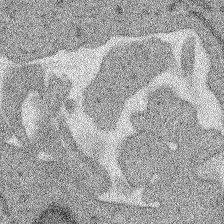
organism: Human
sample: HeLa cells